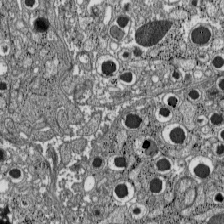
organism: C57BL Mouse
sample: Pancreatic islet